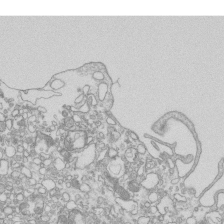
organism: Mouse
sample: Macrophages